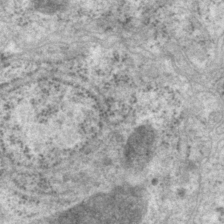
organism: P. pacificus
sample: Pharynx